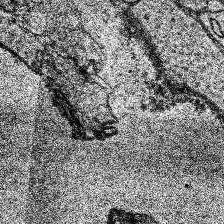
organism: Human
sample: Temporal Lobe